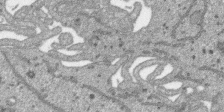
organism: Human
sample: Lung epithelial cells infected with SARS-CoV-2